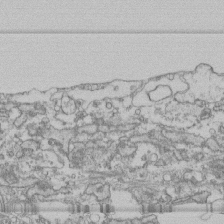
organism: Human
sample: Fibroblast cells